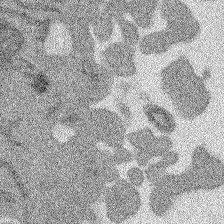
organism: Human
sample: HeLa cells